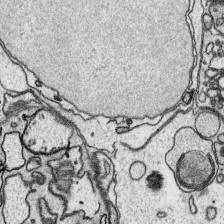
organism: Platynereis dumerilii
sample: Parapodia